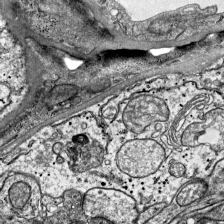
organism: Mouse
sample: Visual Cortex